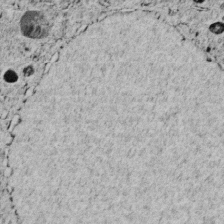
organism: C. elegans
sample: C. elegans embryo early stage